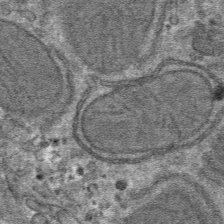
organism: Mouse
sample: Mouse hepatocytes